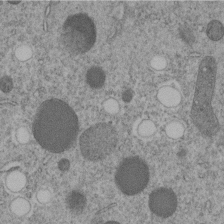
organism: C. elegans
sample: C. elegans embryo early stage